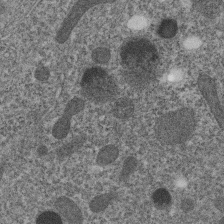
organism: C. elegans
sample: C. elegans embryo early stage